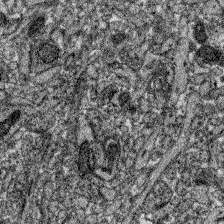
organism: Zebrafish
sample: Larval olfactory bulb